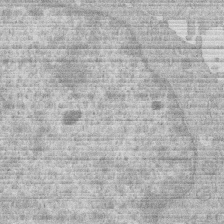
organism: Human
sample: Macrophage cells